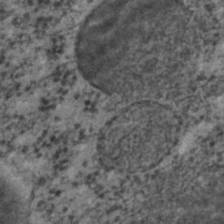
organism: C. elegans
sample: C. elegans embryo